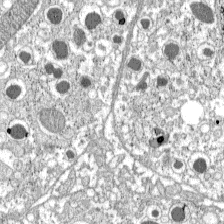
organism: C57BL Mouse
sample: Pancreatic islet